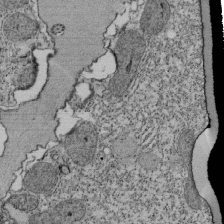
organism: Tetrahymena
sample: Cilia in tetrahymena